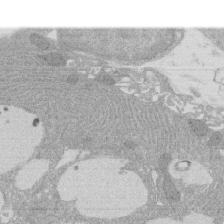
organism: Rat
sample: Salivary granule